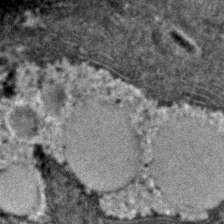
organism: C. elegans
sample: C. elegans embryo